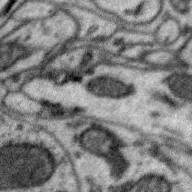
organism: Zebra finch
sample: Brain